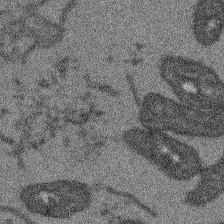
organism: Arabidopsis thaliana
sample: Root tip